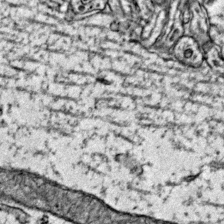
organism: Mouse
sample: Primary visual cortex